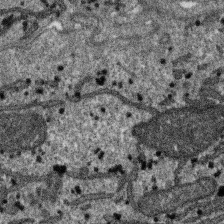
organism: Human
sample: Lung epithelial cells infected with SARS-CoV-2